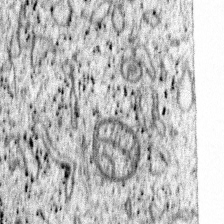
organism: Human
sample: HeLa cells